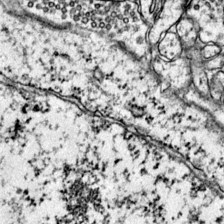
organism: Mouse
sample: Primary visual cortex